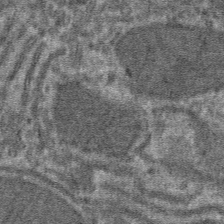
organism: Mouse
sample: Mouse hepatocytes